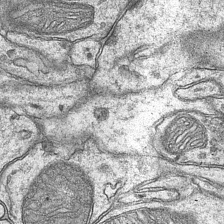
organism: Mouse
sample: CA1 Hippocampus